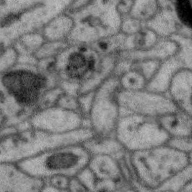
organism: Zebra finch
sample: Brain